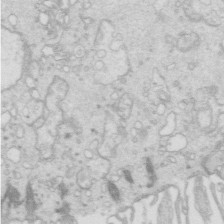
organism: Mouse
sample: Multiciliated cells